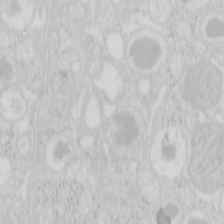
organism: Mouse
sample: Pancreas